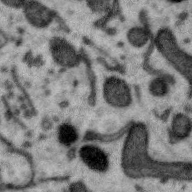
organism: Zebra finch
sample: Brain